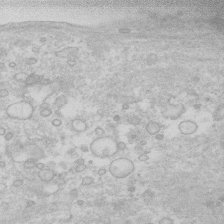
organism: Human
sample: Fibroblast cells